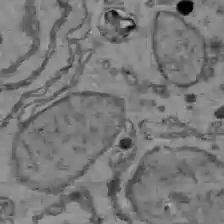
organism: C57BL Mouse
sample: Liver